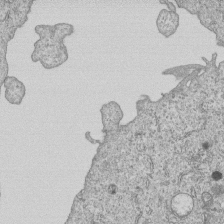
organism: Human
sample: MDA-MB-231 cells